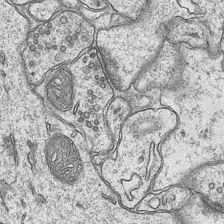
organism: Mouse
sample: CA1 Hippocampus